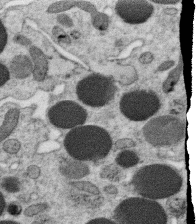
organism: C. elegans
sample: C. elegans oocyte; sperm cells